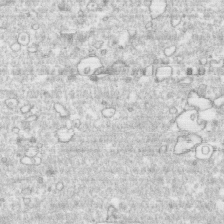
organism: Human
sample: CRL-1474